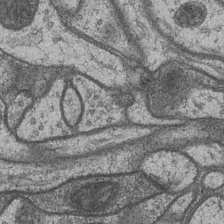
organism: Drosophila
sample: Optic medulla